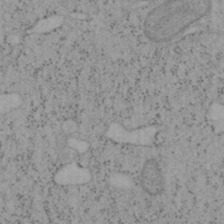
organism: Mouse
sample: OT-I killer T cells with ID8 ovarian cancer cells